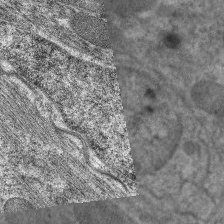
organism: C. elegans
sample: Pharynx